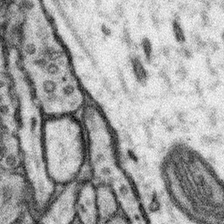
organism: Mouse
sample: Somatosensory cortex neuropil